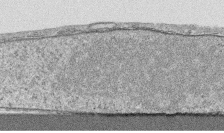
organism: Human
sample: CRL-1474